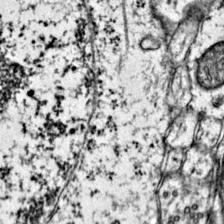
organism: Mouse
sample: Primary visual cortex